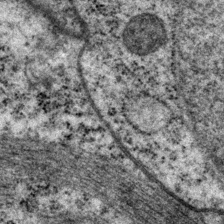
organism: P. pacificus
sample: Pharynx